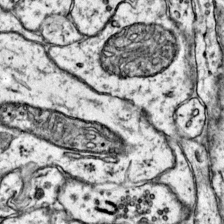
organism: Mouse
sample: Primary visual cortex